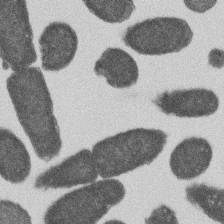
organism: E. coli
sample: Bacterial nucleoid